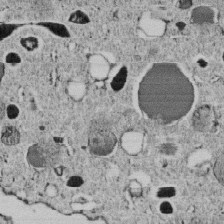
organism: C. elegans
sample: C. elegans embryo early stage